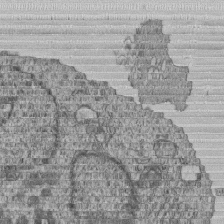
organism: Human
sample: MDA-MB-231 cells